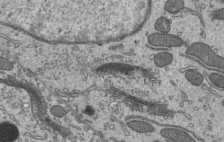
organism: Mouse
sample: Mouse epididymis efferent ductule cilia